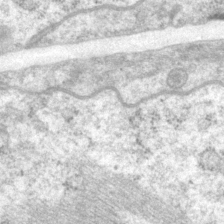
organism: P. pacificus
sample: Pharynx